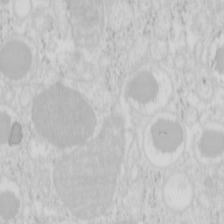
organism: Mouse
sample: Pancreas